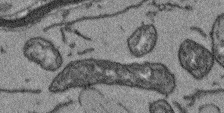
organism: Arabidopsis thaliana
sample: Root tip